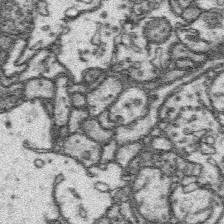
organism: Platynereis dumerilii